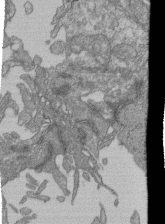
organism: Human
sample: Retinal organoid Rod and Cone cells